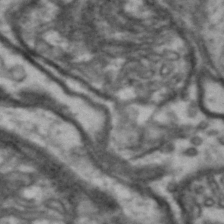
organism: Drosophila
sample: Brain